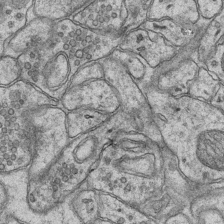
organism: Mouse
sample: CA1 Hippocampus